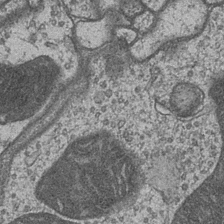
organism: Drosophila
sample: Optic medulla